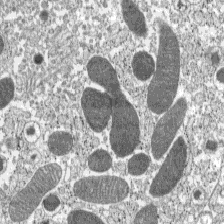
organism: C57BL Mouse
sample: Pancreatic islet